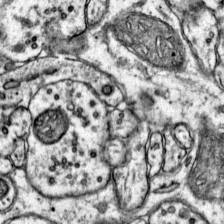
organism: Mouse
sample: Primary visual cortex